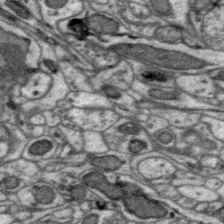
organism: Zebra finch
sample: Brain